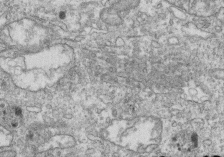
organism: Human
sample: HeLa cell HIV synapse